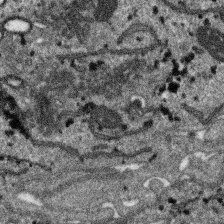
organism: Human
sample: Lung epithelial cells infected with SARS-CoV-2